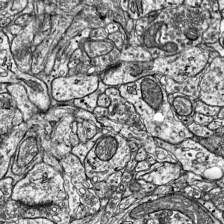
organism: Mouse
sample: Visual Cortex